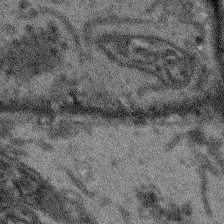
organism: Arabidopsis thaliana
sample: Root tip